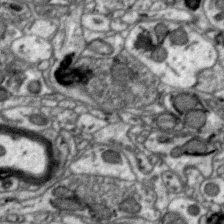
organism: Zebra finch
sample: Brain